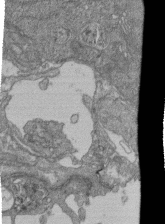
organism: Human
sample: Retinal organoid Rod and Cone cells